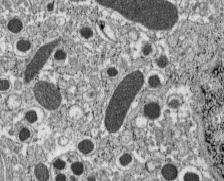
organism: C57BL Mouse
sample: Pancreatic islet